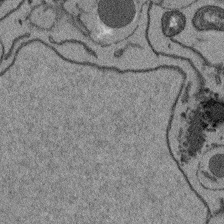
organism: Arabidopsis thaliana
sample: Root tip